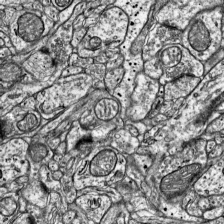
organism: Mouse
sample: Visual Cortex